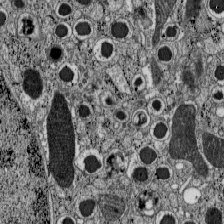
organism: C57BL Mouse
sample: Pancreatic islet